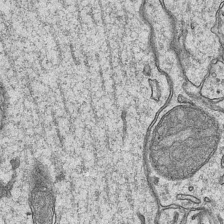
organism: Mouse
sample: CA1 Hippocampus